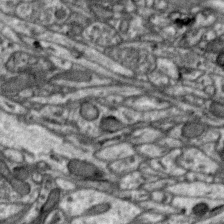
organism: Zebra finch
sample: Brain